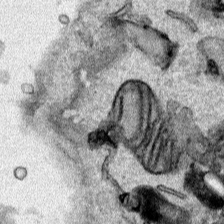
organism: Human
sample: Mitochondria in HCT116 cells